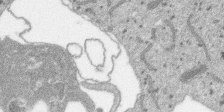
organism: Human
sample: Lung epithelial cells infected with SARS-CoV-2